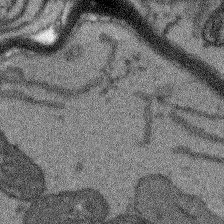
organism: Arabidopsis thaliana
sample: Root tip